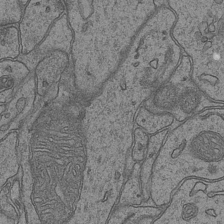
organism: Mouse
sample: CA1 Hippocampus